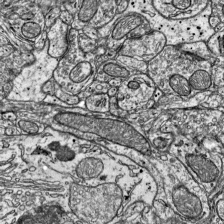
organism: Mouse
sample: Visual Cortex